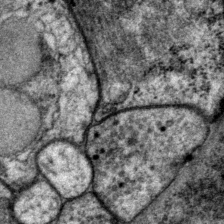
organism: P. pacificus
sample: Pharynx